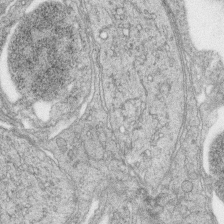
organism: Zebrafish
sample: synaptic ribbons in rod cells and cone cells